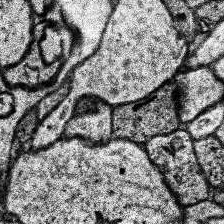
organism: Human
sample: Temporal Lobe